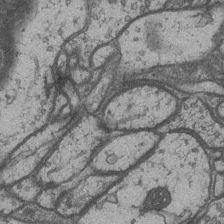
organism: Drosophila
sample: Optic medulla